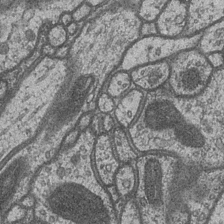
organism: Drosophila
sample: Optic medulla